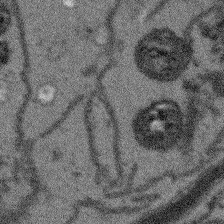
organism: Arabidopsis thaliana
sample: Root tip